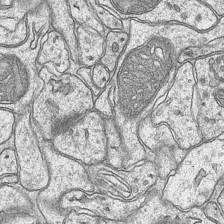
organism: Mouse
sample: CA1 Hippocampus